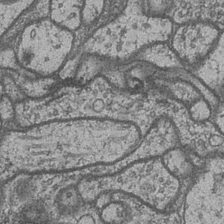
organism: Drosophila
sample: Optic medulla